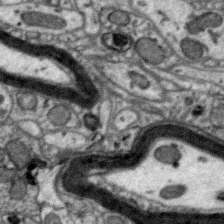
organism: Zebra finch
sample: Brain